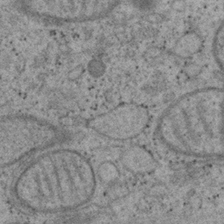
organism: Human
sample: HeLa cells